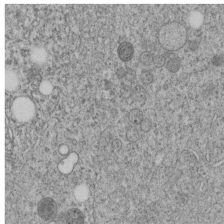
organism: C. elegans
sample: C. elegans embryo early stage